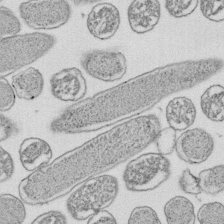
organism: E. coli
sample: Bacterial nucleoid